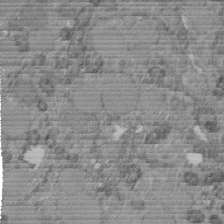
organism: C. elegans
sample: C. elegans embryo early stage